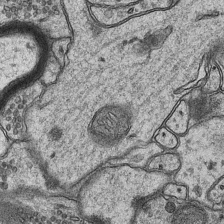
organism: Mouse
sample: CA1 Hippocampus